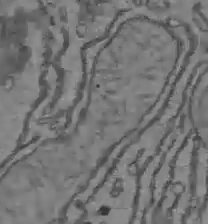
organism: C57BL Mouse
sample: Liver